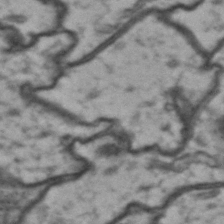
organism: Drosophila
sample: Brain